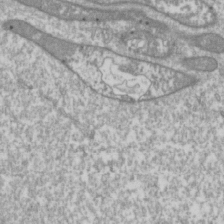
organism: Drosophila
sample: Cell division; meiosis; drosophila spermatocytes